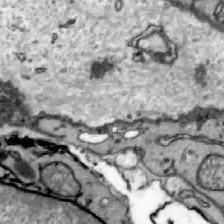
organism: Zebrafish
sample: Actinotrichia fibers